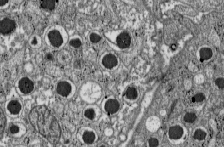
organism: C57BL Mouse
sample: Pancreatic islet